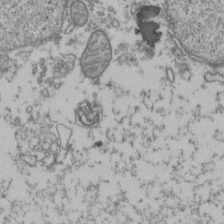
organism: Human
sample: Activated Jurkat CD4+ T cells